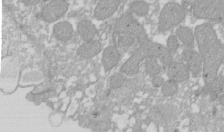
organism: Xenopus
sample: Cilia; centrioles in frog embryo cells